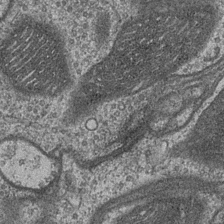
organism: Drosophila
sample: Optic medulla